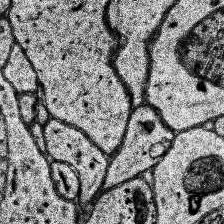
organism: Human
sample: Temporal Lobe